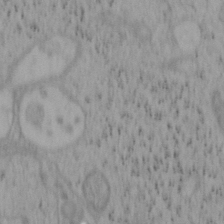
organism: Mouse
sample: OT-I killer T cells with ID8 ovarian cancer cells